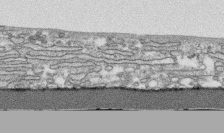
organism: Human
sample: CRL-1474